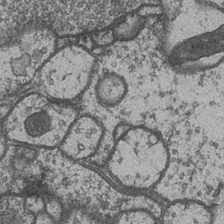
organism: Drosophila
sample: Optic medulla